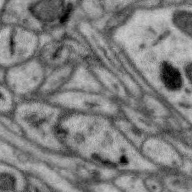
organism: Zebra finch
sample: Brain